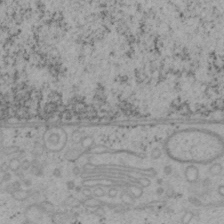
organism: Human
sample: HeLa cells